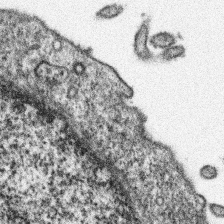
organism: Human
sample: HeLa cells